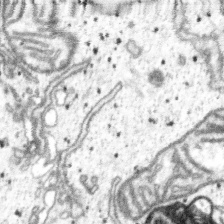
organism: Human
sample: HeLa cells